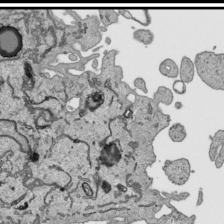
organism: Human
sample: Mitochondria in HCT116 cells